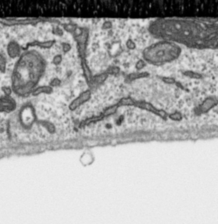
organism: Toxoplasma gondii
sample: Parasites in a vacuole inside a host cell